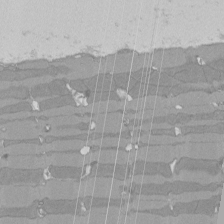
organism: Rat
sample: Left ventricle